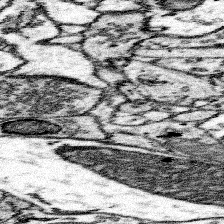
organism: Mouse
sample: Somatosensory cortex neuropil